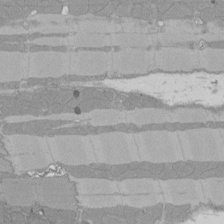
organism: Rat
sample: Left ventricle